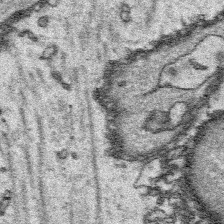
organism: Platynereis dumerilii